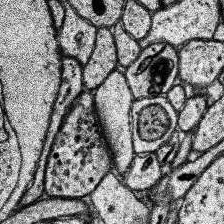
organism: Human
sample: Temporal Lobe